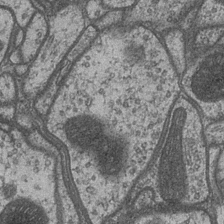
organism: Drosophila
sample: Optic medulla